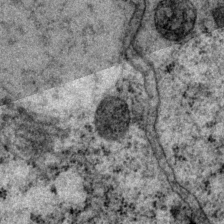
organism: P. pacificus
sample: Pharynx